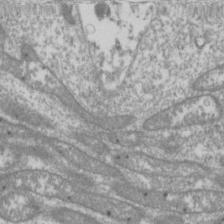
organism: Drosophila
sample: Cell division; meiosis; drosophila spermatocytes